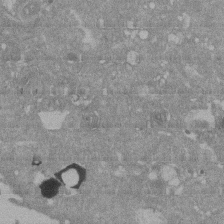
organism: Mouse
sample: ED-1 cell nuclei; centrioles